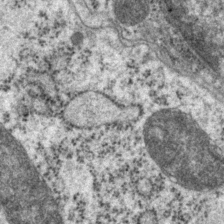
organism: P. pacificus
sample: Pharynx